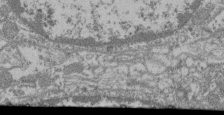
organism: Mouse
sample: Glomerulus